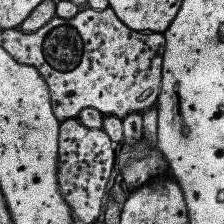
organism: Human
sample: Temporal Lobe